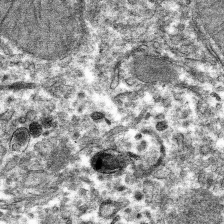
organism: Mouse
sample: Mouse hepatocytes